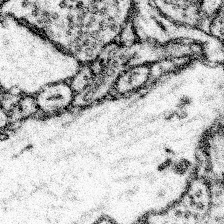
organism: Mouse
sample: Somatosensory cortex neuropil